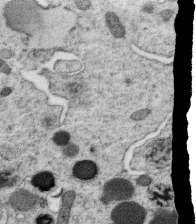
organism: C. elegans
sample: C. elegans oocyte; sperm cells